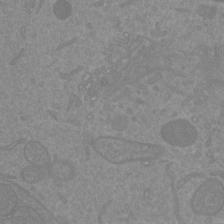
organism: Mouse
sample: Cortical neurons